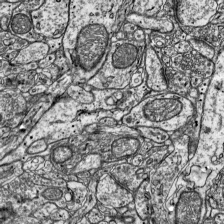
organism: Mouse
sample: Visual Cortex